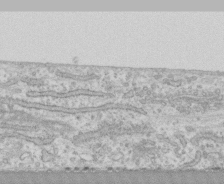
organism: Human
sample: CRL-1474